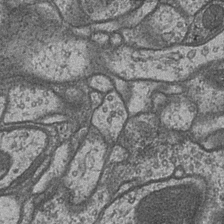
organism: Drosophila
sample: Optic medulla